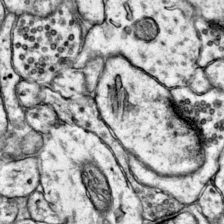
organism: Mouse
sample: Primary visual cortex